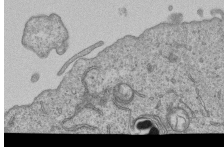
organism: Human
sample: MDA-MB-231 cells